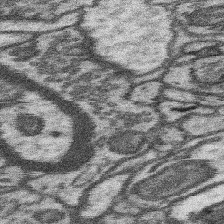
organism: Mouse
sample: Somatosensory cortex neuropil